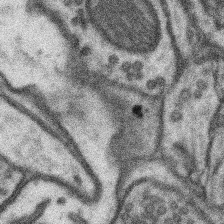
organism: Mouse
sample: Somatosensory cortex neuropil